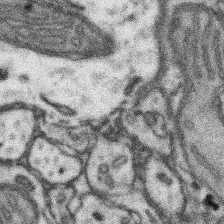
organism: Mouse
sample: Somatosensory cortex neuropil